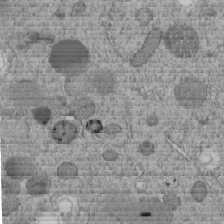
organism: C. elegans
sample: C. elegans embryo early stage